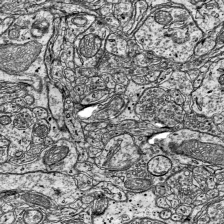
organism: Mouse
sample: Visual Cortex